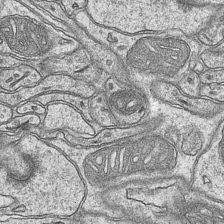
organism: Mouse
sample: CA1 Hippocampus